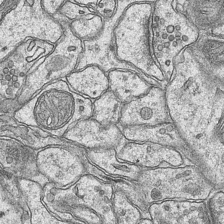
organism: Mouse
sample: CA1 Hippocampus